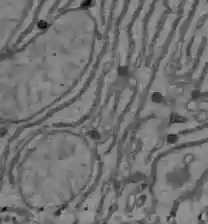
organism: C57BL Mouse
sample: Liver